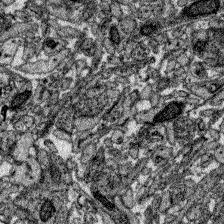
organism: Zebrafish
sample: Larval olfactory bulb